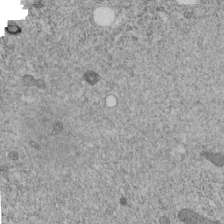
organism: C. elegans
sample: C. elegans embryo early stage